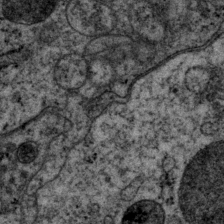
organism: P. pacificus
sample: Pharynx